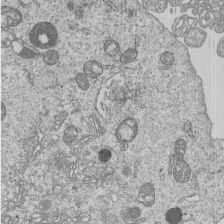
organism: Human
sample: MDA-MB-231 cells